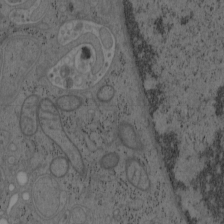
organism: Mouse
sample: OT-I killer T cells with ID8 ovarian cancer cells